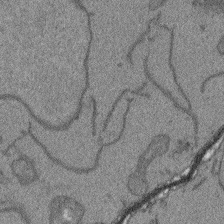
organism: Arabidopsis thaliana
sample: Root tip